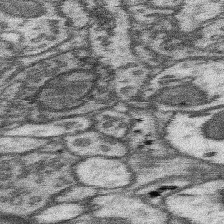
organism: Mouse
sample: Somatosensory cortex neuropil